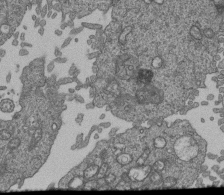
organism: Human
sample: Retinal organoid Rod and Cone cells